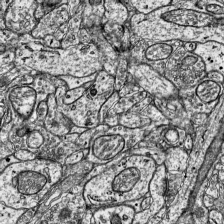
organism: Mouse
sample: Visual Cortex